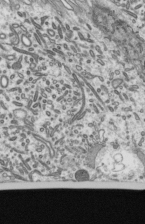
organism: Mouse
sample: Mouse epididymis efferent ductule cilia